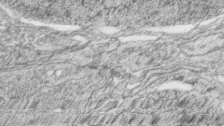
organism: Zebrafish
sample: synaptic ribbons in rod cells and cone cells